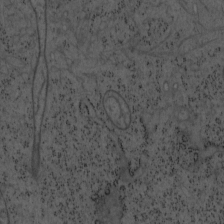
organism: Mouse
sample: OT-I killer T cells with ID8 ovarian cancer cells